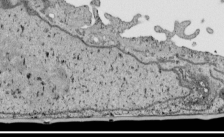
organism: Human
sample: Mitochondria in HCT116 cells